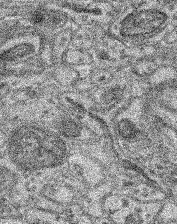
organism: Mouse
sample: Retina